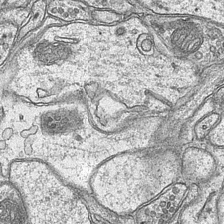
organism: Mouse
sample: CA1 Hippocampus